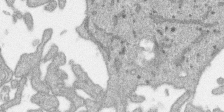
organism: Human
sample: Lung epithelial cells infected with SARS-CoV-2